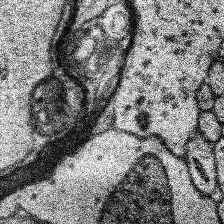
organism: Human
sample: Temporal Lobe